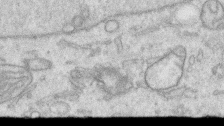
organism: Human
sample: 1205lu cells